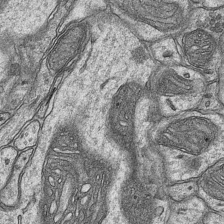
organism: Mouse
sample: CA1 Hippocampus